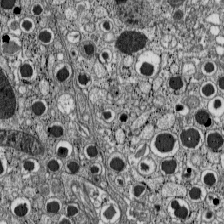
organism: C57BL Mouse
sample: Pancreatic islet